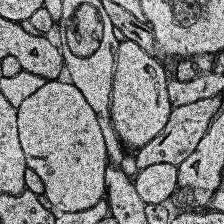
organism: Human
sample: Temporal Lobe